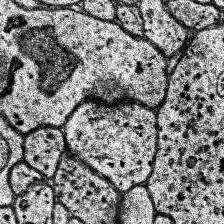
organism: Human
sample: Temporal Lobe